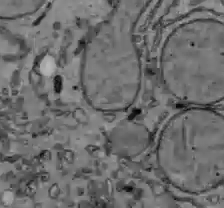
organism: C57BL Mouse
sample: Liver